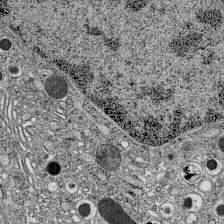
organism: C57BL Mouse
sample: Pancreatic islet